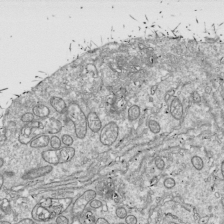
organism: Drosophila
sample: Cell division; meiosis; drosophila spermatocytes